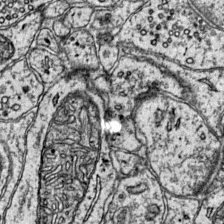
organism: Mouse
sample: Primary visual cortex